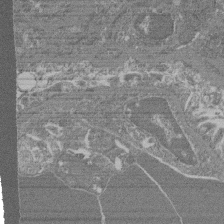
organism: Mouse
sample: Glomerulus